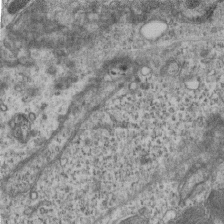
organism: Mouse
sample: Centriole in ependymal cells